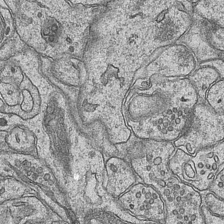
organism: Mouse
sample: CA1 Hippocampus